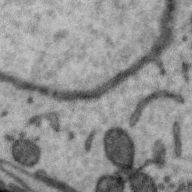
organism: Zebra finch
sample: Brain